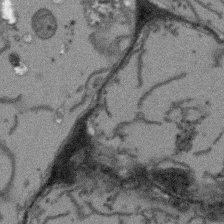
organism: Arabidopsis thaliana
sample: Root tip